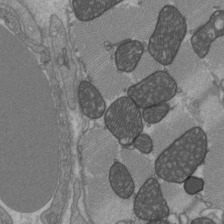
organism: C57BL Mouse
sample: Heart